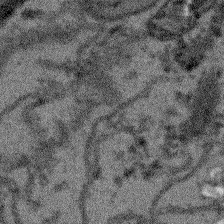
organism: Arabidopsis thaliana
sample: Root tip